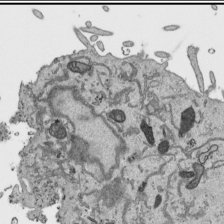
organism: Human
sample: Mitochondria in HCT116 cells